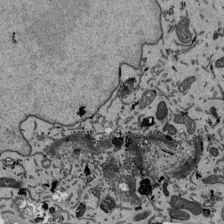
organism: Mouse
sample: ED-1 cell nuclei; centrioles